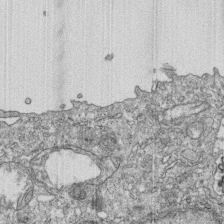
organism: Human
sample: HeLa cell HIV synapse